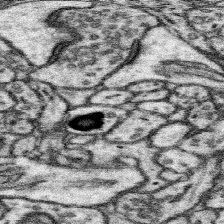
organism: Mouse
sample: Somatosensory cortex neuropil